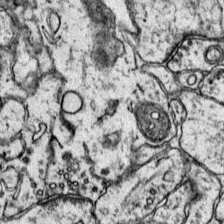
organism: Mouse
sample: Primary visual cortex